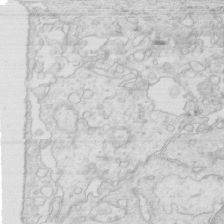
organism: Mouse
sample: Multiciliated cells